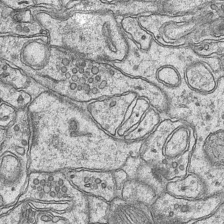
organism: Mouse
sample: CA1 Hippocampus